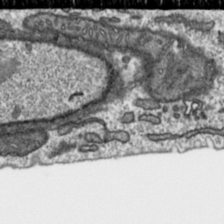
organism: Toxoplasma gondii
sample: Parasites in a vacuole inside a host cell